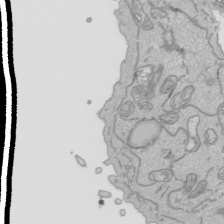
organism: Human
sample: Mitochondria in HCT116 cells